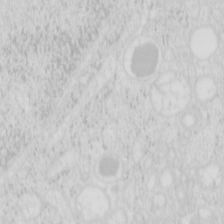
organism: Mouse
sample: Pancreas